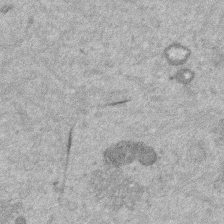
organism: Mouse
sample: Dividing mouse embryo 1 cell stage